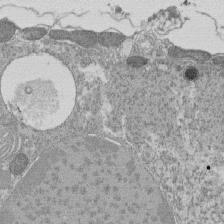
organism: Tetrahymena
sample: Cilia in tetrahymena